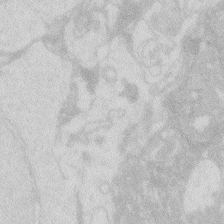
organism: Zebrafish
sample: Macrophage